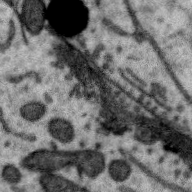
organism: Zebra finch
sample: Brain